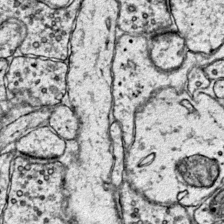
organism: Mouse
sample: Primary visual cortex